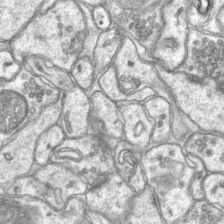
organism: Mouse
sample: CA1 Hippocampus